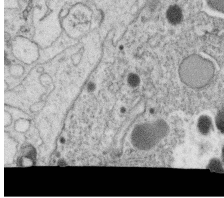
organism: C. elegans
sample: C. elegans oocyte; sperm cells